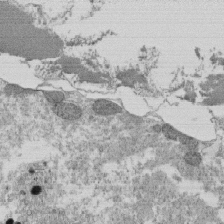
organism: Tetrahymena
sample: Cilia in tetrahymena